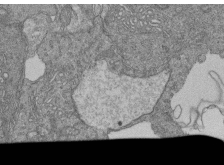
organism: Human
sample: Retinal organoid Rod and Cone cells